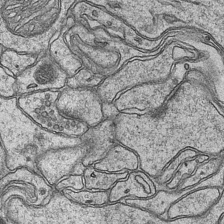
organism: Mouse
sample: CA1 Hippocampus